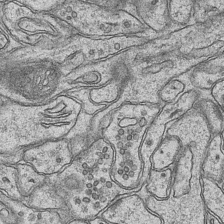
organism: Mouse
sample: CA1 Hippocampus